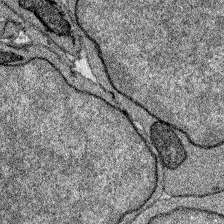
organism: Zebrafish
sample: Larval olfactory bulb